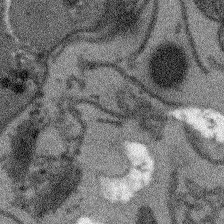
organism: Arabidopsis thaliana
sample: Root tip